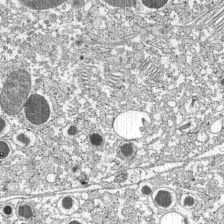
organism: C57BL Mouse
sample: Pancreatic islet